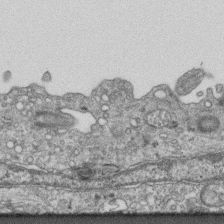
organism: Mouse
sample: Centriole in ependymal cells